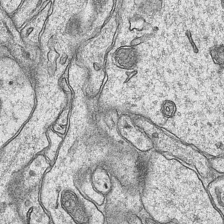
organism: Mouse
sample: CA1 Hippocampus